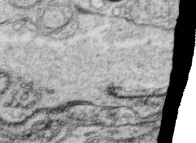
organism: C. elegans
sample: C. elegans oocyte; sperm cells